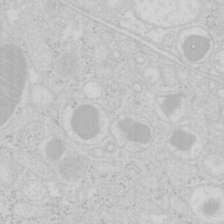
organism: Mouse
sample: Pancreas